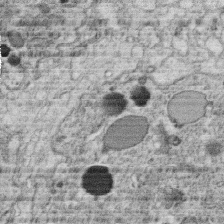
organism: C. elegans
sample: C. elegans oocyte; sperm cells